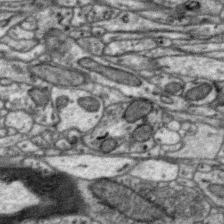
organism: Zebra finch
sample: Brain